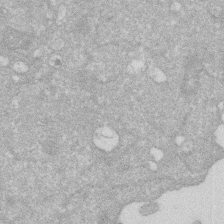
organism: Human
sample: HIV infected U937 cells